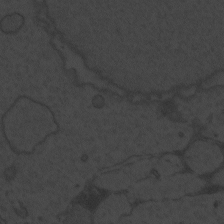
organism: Zebrafish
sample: Macrophage infected with Toxoplasma gondii